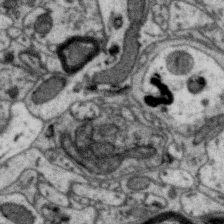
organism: Zebra finch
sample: Brain